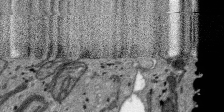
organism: Human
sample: Lung epithelial cells, uninfected (mock) control